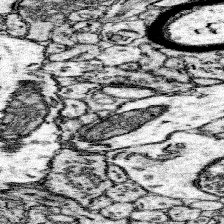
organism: Mouse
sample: Somatosensory cortex neuropil